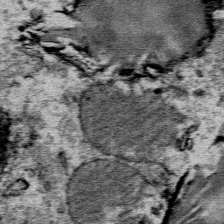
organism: Mouse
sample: Mouse Salivary gland